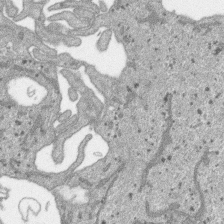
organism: Human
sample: Lung epithelial cells infected with SARS-CoV-2